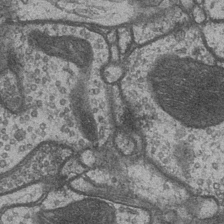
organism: Drosophila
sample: Optic medulla